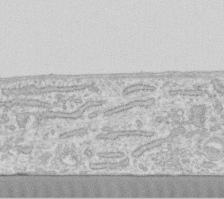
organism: Human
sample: Fibroblast cells